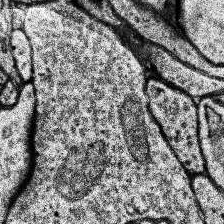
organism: Human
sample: Temporal Lobe